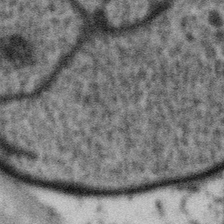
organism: Gemmata obscuriglobus